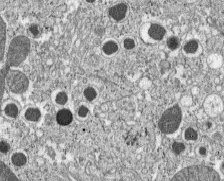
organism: C57BL Mouse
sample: Pancreatic islet